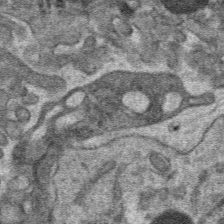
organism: Mouse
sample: Mouse hepatocytes